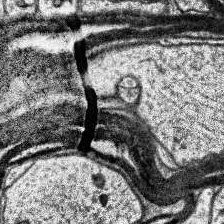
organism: Human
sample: Temporal Lobe